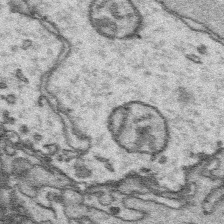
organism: Platynereis dumerilii